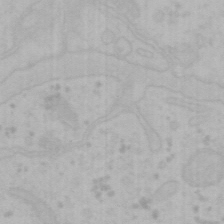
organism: Mouse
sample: Choroid plexus